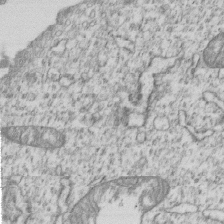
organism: Human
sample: MDA-MB-231 cells